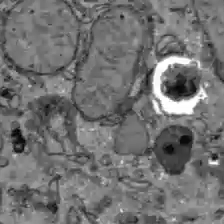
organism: C57BL Mouse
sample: Liver